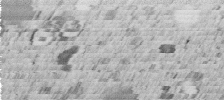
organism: C. elegans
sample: C. elegans embryo early stage